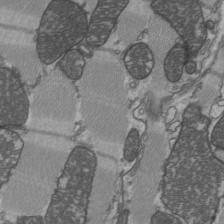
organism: C57BL Mouse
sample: Heart